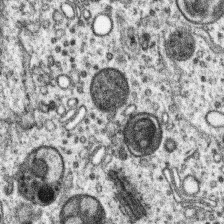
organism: Human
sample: HeLa cells